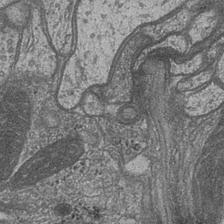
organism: Drosophila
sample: Optic medulla